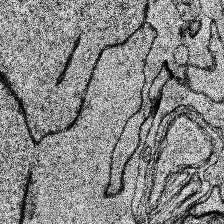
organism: Human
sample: Temporal Lobe